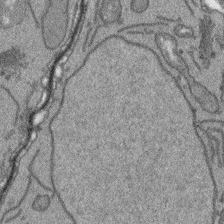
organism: Arabidopsis thaliana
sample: Root tip